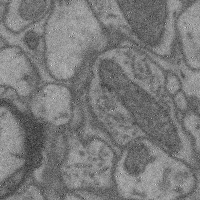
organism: Mouse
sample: Cerebral cortex